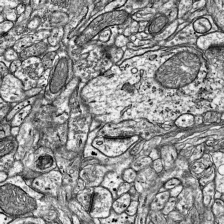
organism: Mouse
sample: Visual Cortex